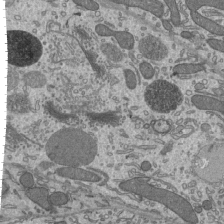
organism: Mouse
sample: Mouse epididymis efferent ductule cilia